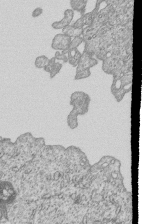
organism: Human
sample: MDA-MB-231 cells